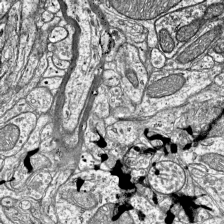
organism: Mouse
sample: Visual Cortex